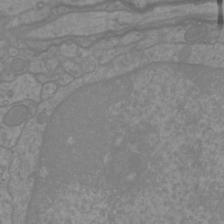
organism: Mouse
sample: Cortical neurons